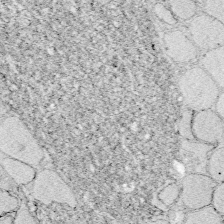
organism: Zebrafish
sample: Whole-Brain